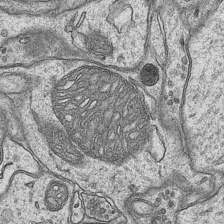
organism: Mouse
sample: CA1 Hippocampus